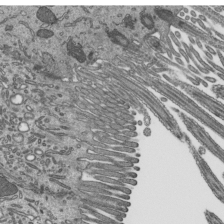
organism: Mouse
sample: Mouse epididymis efferent ductule cilia